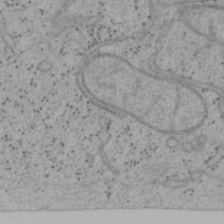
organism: Human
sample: HeLa cells